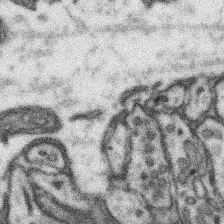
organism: Mouse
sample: Somatosensory cortex neuropil